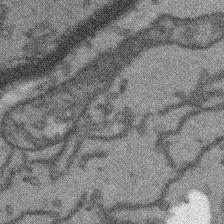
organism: Arabidopsis thaliana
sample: Root tip